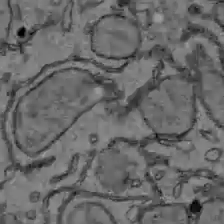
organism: C57BL Mouse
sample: Liver